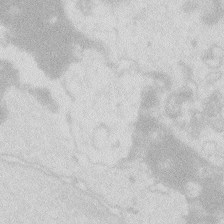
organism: Zebrafish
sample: Macrophage